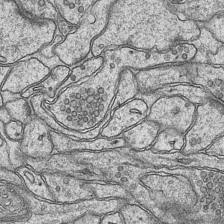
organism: Mouse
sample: CA1 Hippocampus